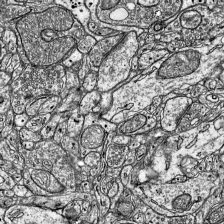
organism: Mouse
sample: Visual Cortex